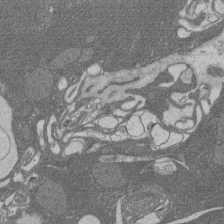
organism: Rat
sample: Salivary granule